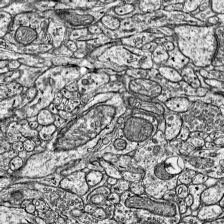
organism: Mouse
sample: Visual Cortex